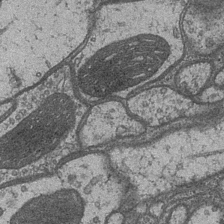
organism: Drosophila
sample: Optic medulla